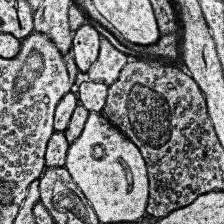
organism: Human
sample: Temporal Lobe